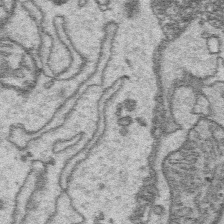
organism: Platynereis dumerilii